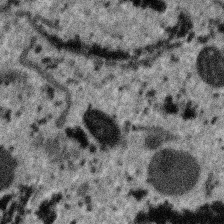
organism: Human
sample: Lung epithelial cells infected with SARS-CoV-2